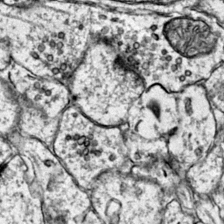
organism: Mouse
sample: Primary visual cortex